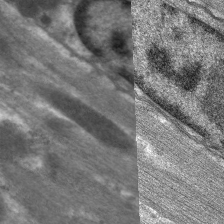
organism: C. elegans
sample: Pharynx